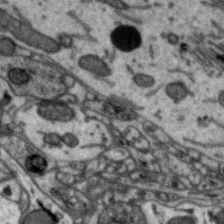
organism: Zebra finch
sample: Brain